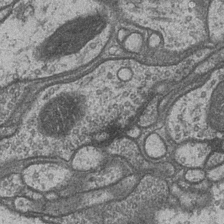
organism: Drosophila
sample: Optic medulla